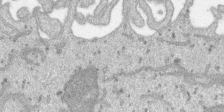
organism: Human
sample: Lung epithelial cells infected with SARS-CoV-2